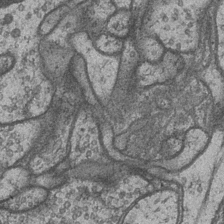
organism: Drosophila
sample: Optic medulla